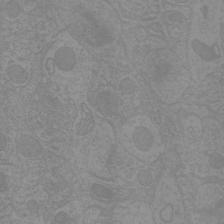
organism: Mouse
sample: Cortical neurons